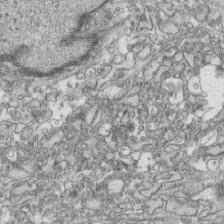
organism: Human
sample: CRL-1474